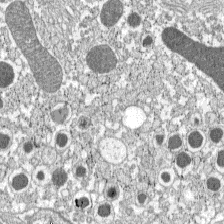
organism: C57BL Mouse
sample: Pancreatic islet